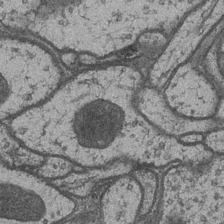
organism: Drosophila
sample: Optic medulla